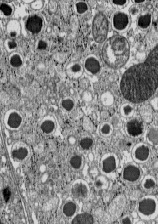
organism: C57BL Mouse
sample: Pancreatic islet